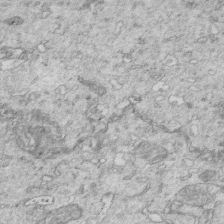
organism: Mouse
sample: Multiciliated cells